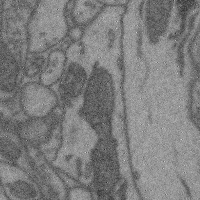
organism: Mouse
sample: Cerebral cortex